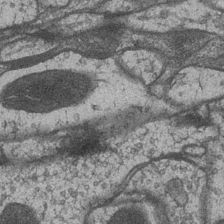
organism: Drosophila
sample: Optic medulla